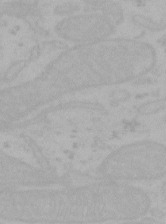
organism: Mouse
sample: Choroid plexus